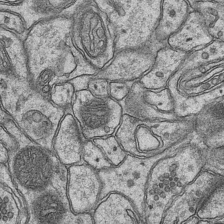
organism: Mouse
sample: CA1 Hippocampus